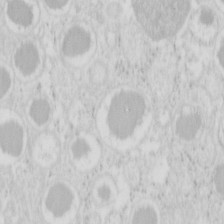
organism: Mouse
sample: Pancreas